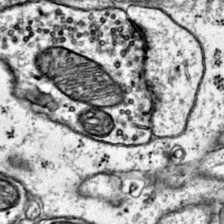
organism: Mouse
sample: Primary visual cortex